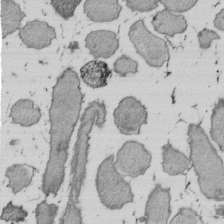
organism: E. coli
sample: Bacterial nucleoid